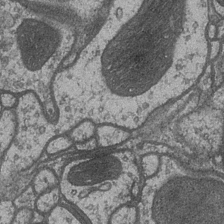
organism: Drosophila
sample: Optic medulla